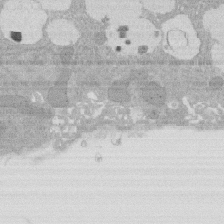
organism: Rat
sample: Salivary granule